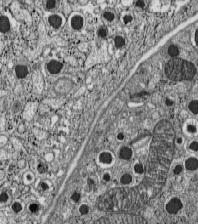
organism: C57BL Mouse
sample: Pancreatic islet